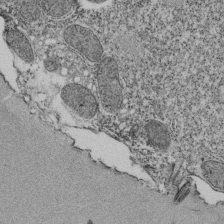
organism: Tetrahymena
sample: Cilia in tetrahymena